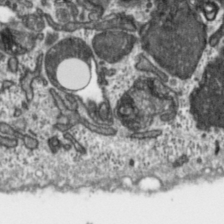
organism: Toxoplasma gondii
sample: Parasites in a vacuole inside a host cell